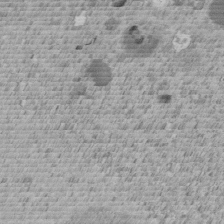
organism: C. elegans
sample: C. elegans embryo early stage